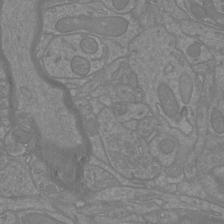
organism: Mouse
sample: Cortical neurons